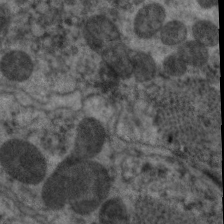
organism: C. elegans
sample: Pharynx